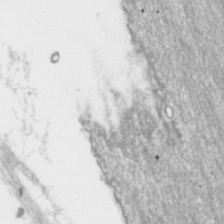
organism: Toxoplasma gondii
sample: Parasites in a vacuole inside a host cell